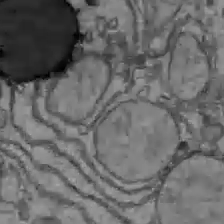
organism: C57BL Mouse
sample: Liver